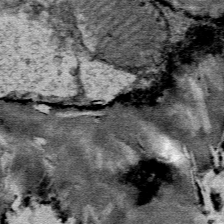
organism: Mouse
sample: Mouse Salivary gland